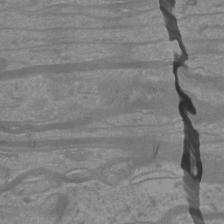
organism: Mouse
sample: Cortical neurons